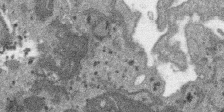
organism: Human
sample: Lung epithelial cells infected with SARS-CoV-2